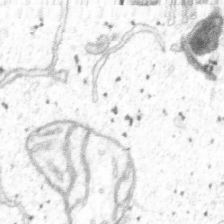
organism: Human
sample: HeLa cells